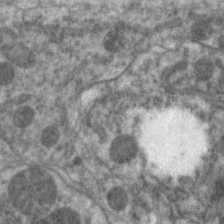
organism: C. elegans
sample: Pharynx